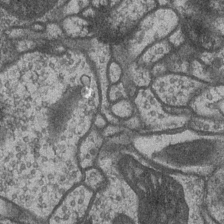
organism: Drosophila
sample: Optic medulla